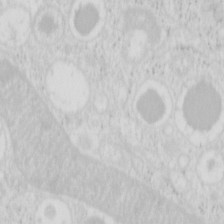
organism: Mouse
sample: Pancreas